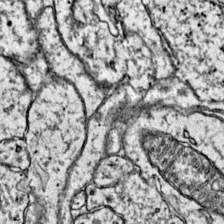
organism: Mouse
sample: Primary visual cortex